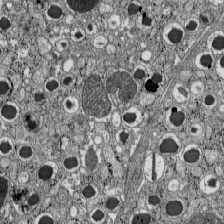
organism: C57BL Mouse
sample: Pancreatic islet